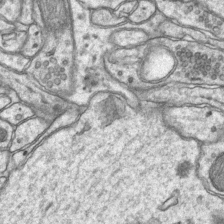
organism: Mouse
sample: CA1 Hippocampus